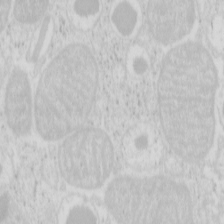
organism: Mouse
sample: Pancreas